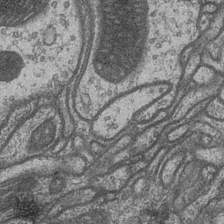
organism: Drosophila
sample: Optic medulla